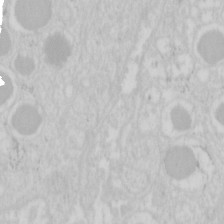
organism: Mouse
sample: Pancreas